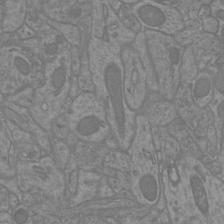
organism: Mouse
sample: Cortical neurons